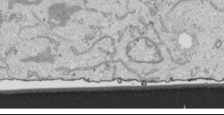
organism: Human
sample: Mitochondria in HCT116 cells